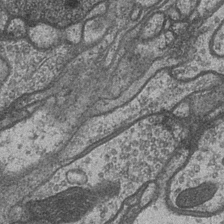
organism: Drosophila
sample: Optic medulla